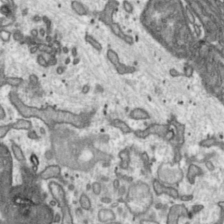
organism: Toxoplasma gondii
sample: Parasites in a vacuole inside a host cell